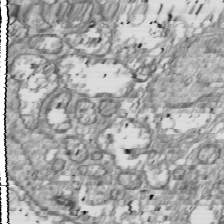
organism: Drosophila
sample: Cell division; meiosis; drosophila spermatocytes